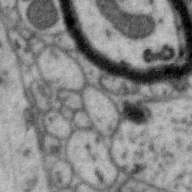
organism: Zebra finch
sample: Brain